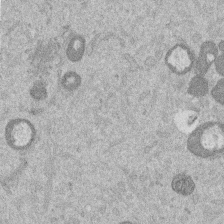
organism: Mouse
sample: Dividing mouse embryo 1 cell stage